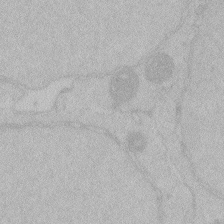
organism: Zebrafish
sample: Macrophage infected with Toxoplasma gondii